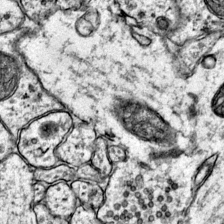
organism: Mouse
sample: Primary visual cortex